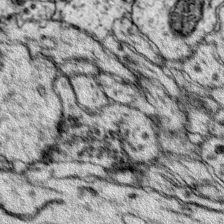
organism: Mouse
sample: Primary visual cortex